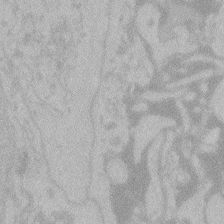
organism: Zebrafish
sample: Macrophage infected with Toxoplasma gondii